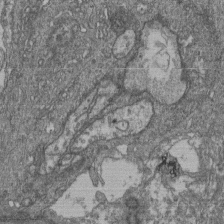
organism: Human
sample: Retinal organoid Rod and Cone cells